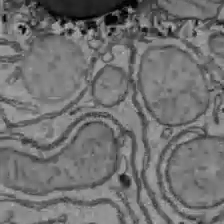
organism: C57BL Mouse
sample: Liver